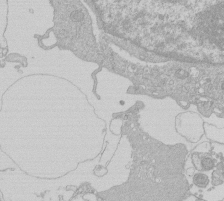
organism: Human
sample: Macrophage cells